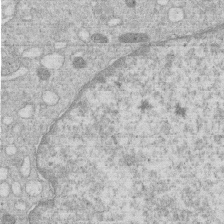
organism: Human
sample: Macrophage cells